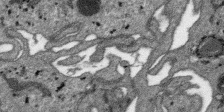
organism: Human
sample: Lung epithelial cells, uninfected (mock) control